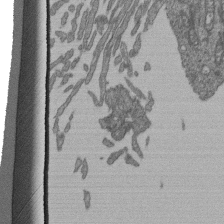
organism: Human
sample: Retinal organoid Rod and Cone cells